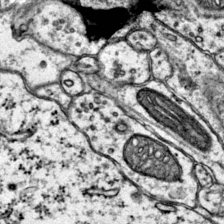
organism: Mouse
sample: Primary visual cortex